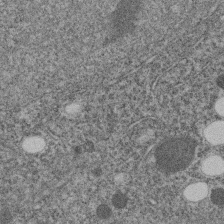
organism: C. elegans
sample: C. elegans embryo early stage